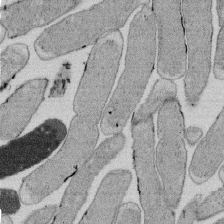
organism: E. coli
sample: Bacterial nucleoid